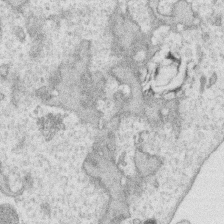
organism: Human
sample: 1205lu cells